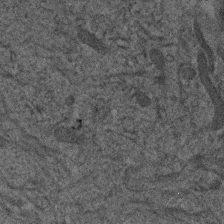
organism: Human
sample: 1205lu cells